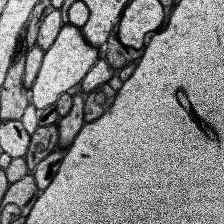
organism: Human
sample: Temporal Lobe